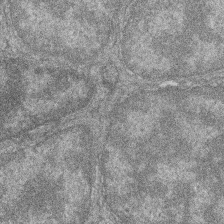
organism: Zebrafish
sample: Cilia; retinal pigment epithelium